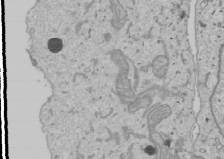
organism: Human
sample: Mitochondria in U2OS cells